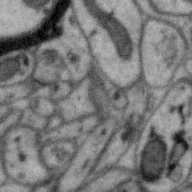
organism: Zebra finch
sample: Brain